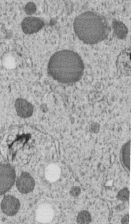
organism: C. elegans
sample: C. elegans embryo early stage